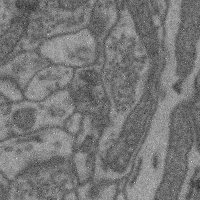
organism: Mouse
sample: Cerebral cortex